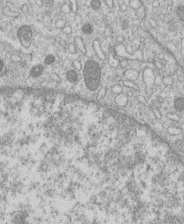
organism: Human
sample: Macrophage cells